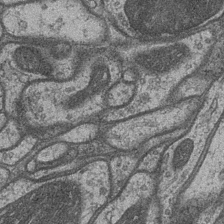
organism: Drosophila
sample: Optic medulla